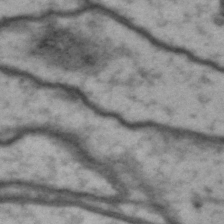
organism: Drosophila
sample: Brain